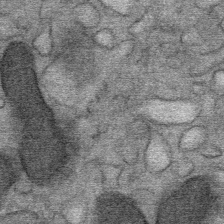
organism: Mouse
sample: Mouse Salivary gland